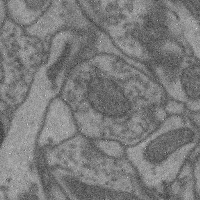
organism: Mouse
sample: Cerebral cortex